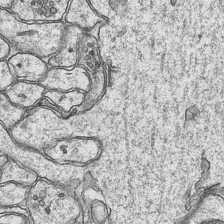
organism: Mouse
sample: CA1 Hippocampus